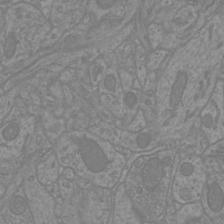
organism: Mouse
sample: Cortical neurons